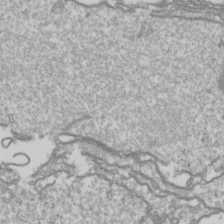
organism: Drosophila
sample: Cell division; meiosis; drosophila spermatocytes